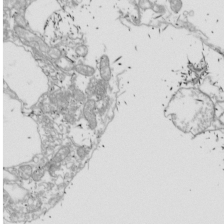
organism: Drosophila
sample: Cell division; meiosis; drosophila spermatocytes